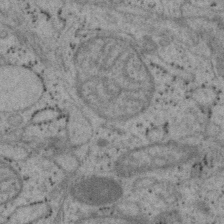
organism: Human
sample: HeLa cells